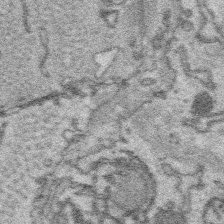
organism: Platynereis dumerilii